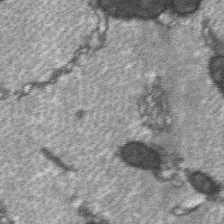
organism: C57BL Mouse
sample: Soleus